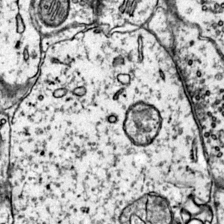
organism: Mouse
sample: Primary visual cortex